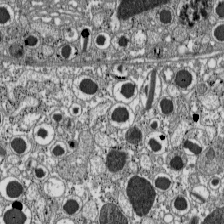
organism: C57BL Mouse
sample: Pancreatic islet